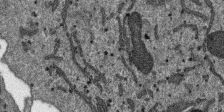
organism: Human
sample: Lung epithelial cells infected with SARS-CoV-2